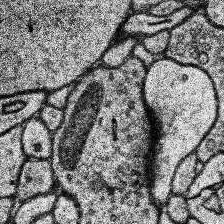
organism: Human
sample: Temporal Lobe